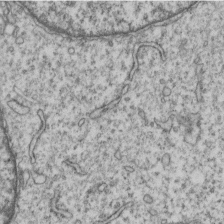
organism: Human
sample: MDA-MB-231 cells